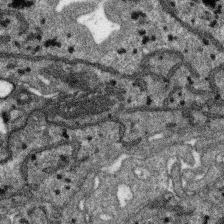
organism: Human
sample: Lung epithelial cells infected with SARS-CoV-2